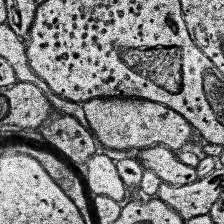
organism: Human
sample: Temporal Lobe